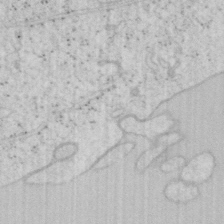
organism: Human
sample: HeLa cells